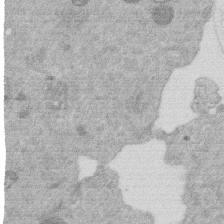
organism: Mouse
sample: Dividing mouse embryo 1 cell stage